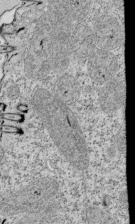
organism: Tetrahymena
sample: Cilia in tetrahymena